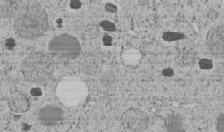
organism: C. elegans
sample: C. elegans embryo early stage